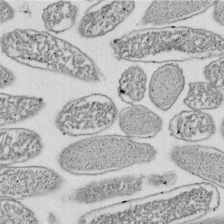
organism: E. coli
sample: Bacterial nucleoid